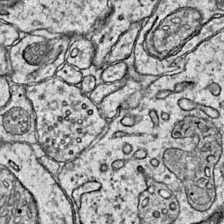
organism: Mouse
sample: Primary visual cortex